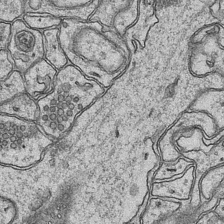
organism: Mouse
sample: CA1 Hippocampus